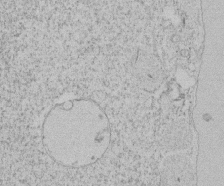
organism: Tetrahymena